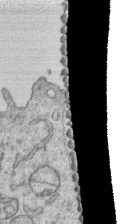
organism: Human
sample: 1205lu cells